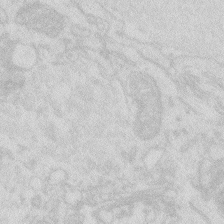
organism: Zebrafish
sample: Macrophage